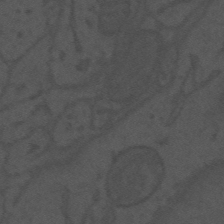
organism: Mouse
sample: Suprachiasmatic nucleus